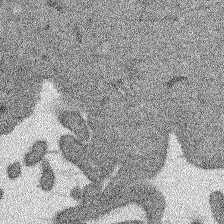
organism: Human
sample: HeLa cells